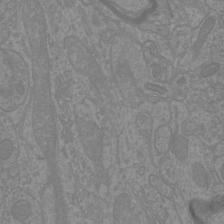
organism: Mouse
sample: Cortical neurons